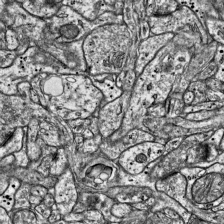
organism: Mouse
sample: Visual Cortex